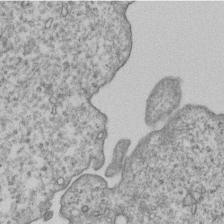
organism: Human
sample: MDA-MB-231 cells